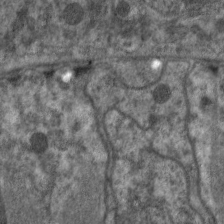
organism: C. elegans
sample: Pharynx